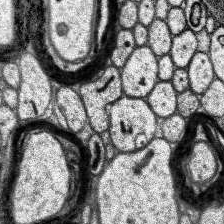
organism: Human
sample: Temporal Lobe